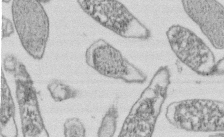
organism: E. coli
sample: Bacterial nucleoid